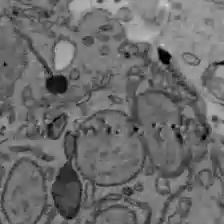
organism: C57BL Mouse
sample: Liver